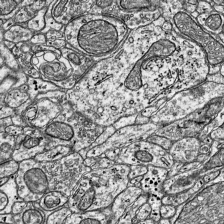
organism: Mouse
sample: Visual Cortex